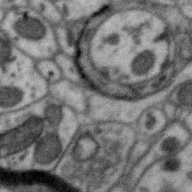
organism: Zebra finch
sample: Brain